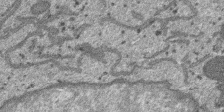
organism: Human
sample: Lung epithelial cells infected with SARS-CoV-2